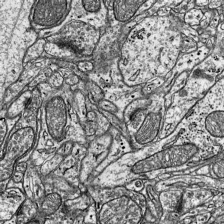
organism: Mouse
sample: Visual Cortex